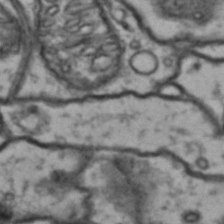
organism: Drosophila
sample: Brain